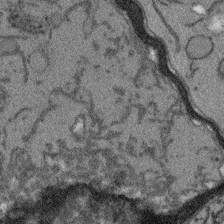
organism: Arabidopsis thaliana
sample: Root tip